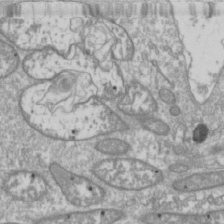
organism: Drosophila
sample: Cell division; meiosis; drosophila spermatocytes